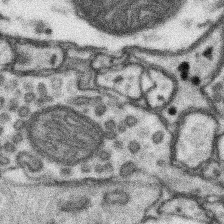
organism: Mouse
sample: Somatosensory cortex neuropil